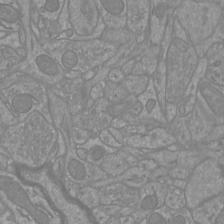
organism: Mouse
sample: Cortical neurons